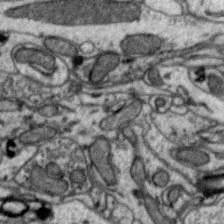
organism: Zebra finch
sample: Brain